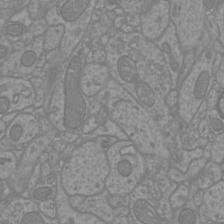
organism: Mouse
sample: Cortical neurons